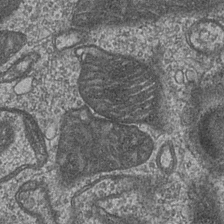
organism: Drosophila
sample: Optic medulla